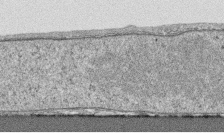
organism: Human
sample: CRL-1474